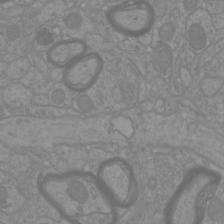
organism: Mouse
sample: Cortical neurons